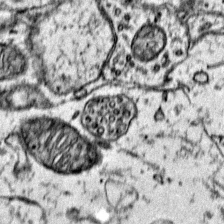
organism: Mouse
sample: Primary visual cortex